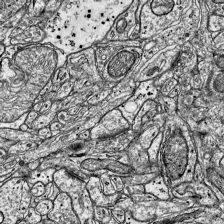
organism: Mouse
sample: Visual Cortex